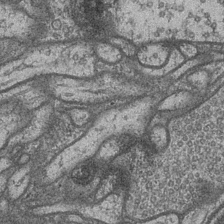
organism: Drosophila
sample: Optic medulla